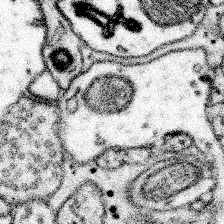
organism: Mouse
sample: Somatosensory cortex neuropil